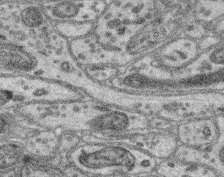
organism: Mouse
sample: Retina